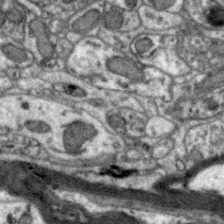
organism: Zebra finch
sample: Brain